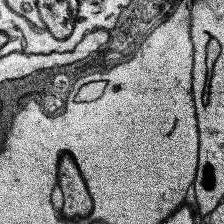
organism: Human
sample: Temporal Lobe